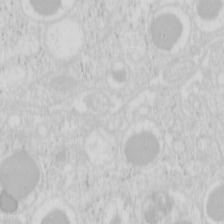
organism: Mouse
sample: Pancreas